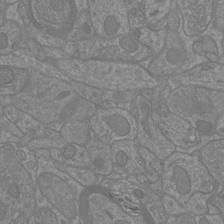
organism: Mouse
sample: Cortical neurons